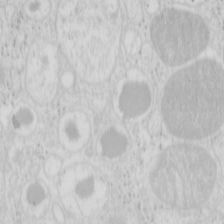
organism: Mouse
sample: Pancreas